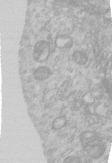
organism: Human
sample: Centriole in RPE cells